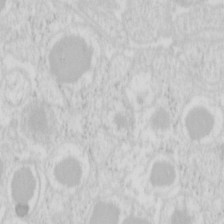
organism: Mouse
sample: Pancreas